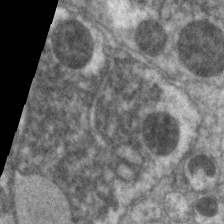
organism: C. elegans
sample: Pharynx